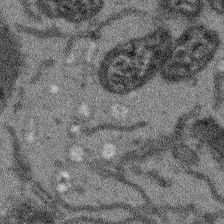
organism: Arabidopsis thaliana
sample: Root tip